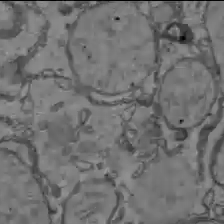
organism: C57BL Mouse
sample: Liver